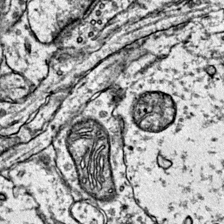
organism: Mouse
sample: Primary visual cortex